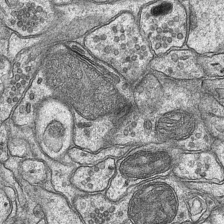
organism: Mouse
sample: CA1 Hippocampus